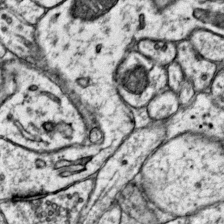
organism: Mouse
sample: Primary visual cortex